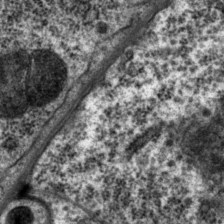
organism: P. pacificus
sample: Pharynx